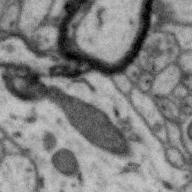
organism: Zebra finch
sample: Brain